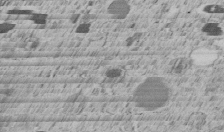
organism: C. elegans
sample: C. elegans embryo early stage